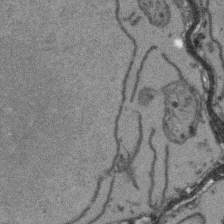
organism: Arabidopsis thaliana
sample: Root tip